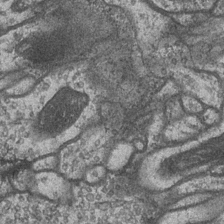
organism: Drosophila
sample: Optic medulla